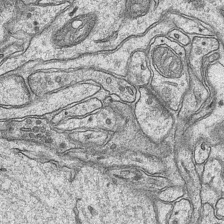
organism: Mouse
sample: CA1 Hippocampus